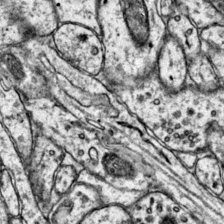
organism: Mouse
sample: Primary visual cortex